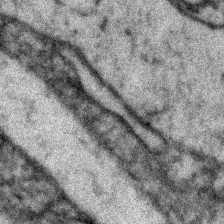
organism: Zebrafish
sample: Zebrafish embryo